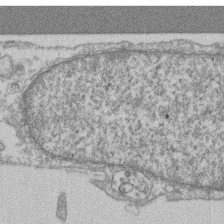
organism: Mouse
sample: T cell stromal cell synapse